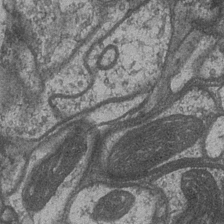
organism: Drosophila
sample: Optic medulla